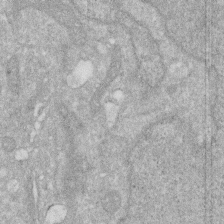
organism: Human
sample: HIV infected U937 cells